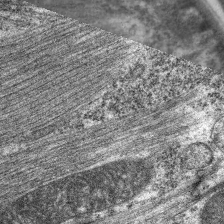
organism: C. elegans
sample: Pharynx